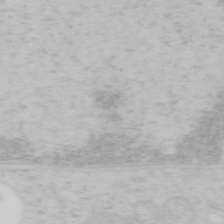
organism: Mouse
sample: OT-I killer T cells with ID8 ovarian cancer cells